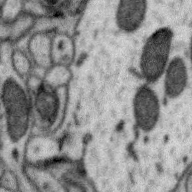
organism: Zebra finch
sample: Brain